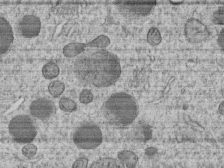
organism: C. elegans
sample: C. elegans embryo early stage